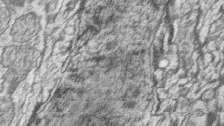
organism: Zebrafish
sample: synaptic ribbons in rod cells and cone cells